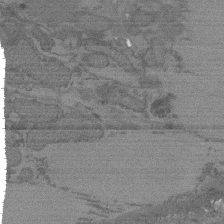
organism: C. elegans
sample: AFD neurons C. elegans